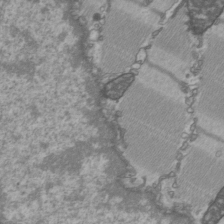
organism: C57BL Mouse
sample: Heart